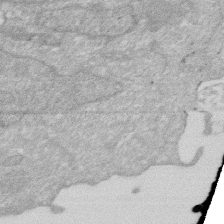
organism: Human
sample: HIV infected U937 cells